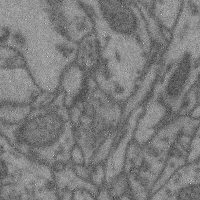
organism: Mouse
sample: Cerebral cortex